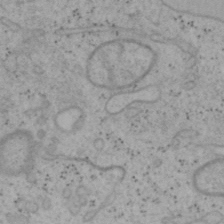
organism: Human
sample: HeLa cells